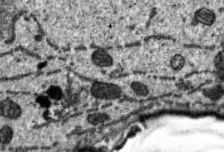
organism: Human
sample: HeLa cells